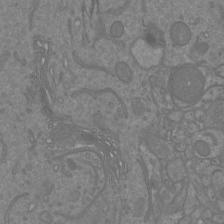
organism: Mouse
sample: Cortical neurons